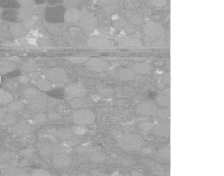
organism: C. elegans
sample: C. elegans oocyte; sperm cells